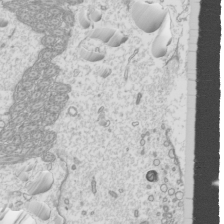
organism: Mouse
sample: Cilia; mouse epididymis